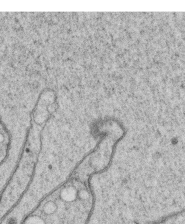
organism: C. elegans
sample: C. elegans oocyte; sperm cells